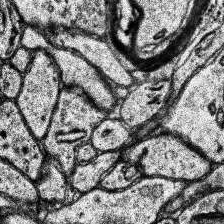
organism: Human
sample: Temporal Lobe